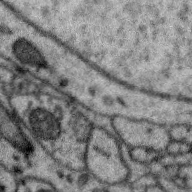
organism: Zebra finch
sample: Brain